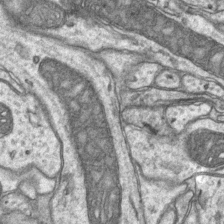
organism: Mouse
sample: CA1 Hippocampus